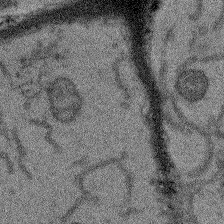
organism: Arabidopsis thaliana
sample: Root tip